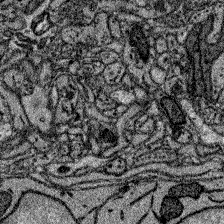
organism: Zebrafish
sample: Larval olfactory bulb